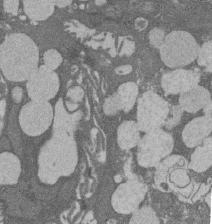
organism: Rat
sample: Salivary granule